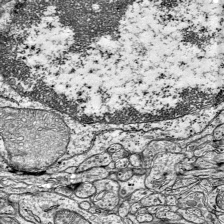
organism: Mouse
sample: Visual Cortex